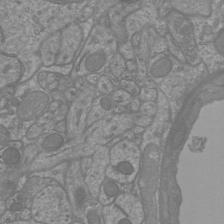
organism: Mouse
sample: Cortical neurons